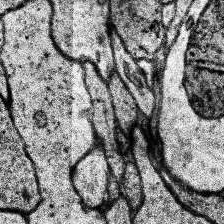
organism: Human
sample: Temporal Lobe